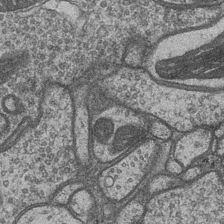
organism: Drosophila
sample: Optic medulla